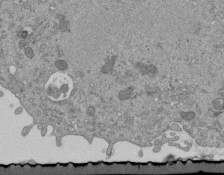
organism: Mouse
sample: ED-1 cell nuclei; centrioles